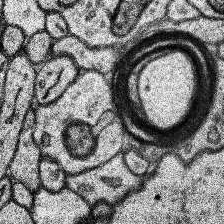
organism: Human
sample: Temporal Lobe